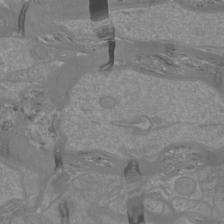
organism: Mouse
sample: Cortical neurons